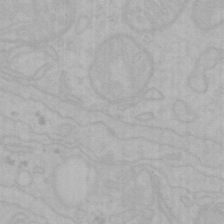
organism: Mouse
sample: Choroid plexus